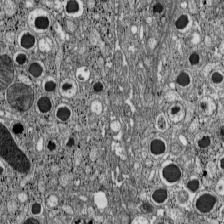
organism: C57BL Mouse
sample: Pancreatic islet